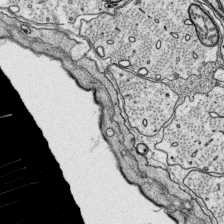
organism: Platynereis dumerilii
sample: Parapodia